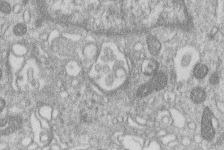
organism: Human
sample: Macrophage cells